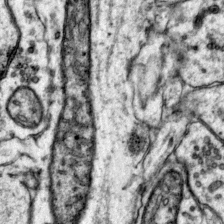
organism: Mouse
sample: Primary visual cortex